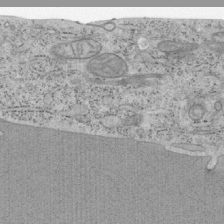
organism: Human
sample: HeLa cells